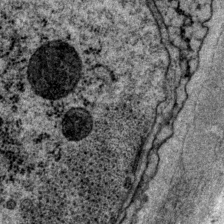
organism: P. pacificus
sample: Pharynx